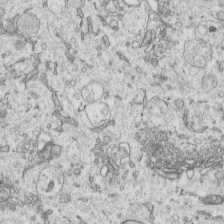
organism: Human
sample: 1205lu cells